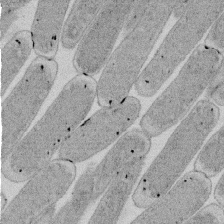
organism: E. coli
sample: Bacterial nucleoid